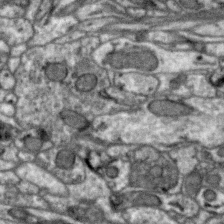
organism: Zebra finch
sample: Brain